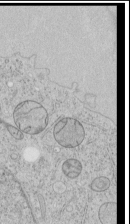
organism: Human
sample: Mitochondria in HCT116 cells